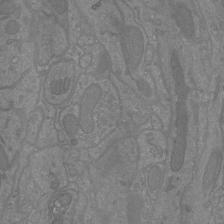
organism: Mouse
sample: Cortical neurons